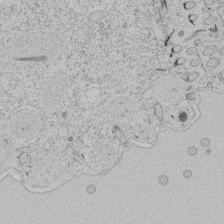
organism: Tetrahymena